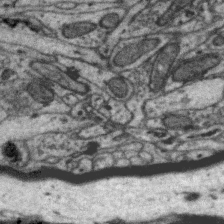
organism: Zebra finch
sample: Brain